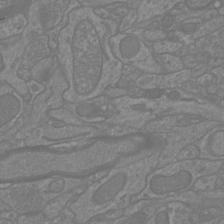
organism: Mouse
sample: Cortical neurons